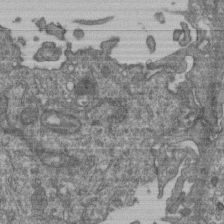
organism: Human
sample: Retinal organoid Rod and Cone cells